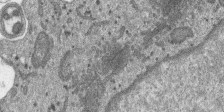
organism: Human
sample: Lung epithelial cells infected with SARS-CoV-2